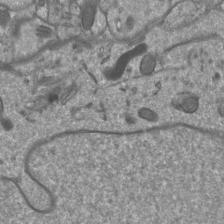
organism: Mouse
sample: Cortical neurons